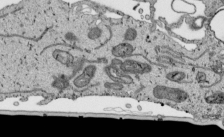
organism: Human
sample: Mitochondria in HCT116 cells